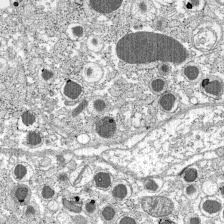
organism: C57BL Mouse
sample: Pancreatic islet